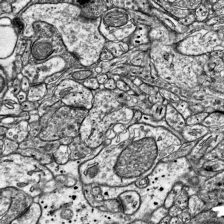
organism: Mouse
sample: Visual Cortex